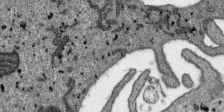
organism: Human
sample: Lung epithelial cells, uninfected (mock) control